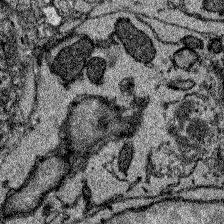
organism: Zebrafish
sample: Larval olfactory bulb